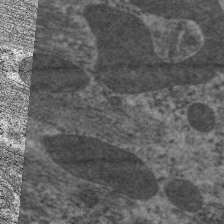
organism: C. elegans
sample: Pharynx